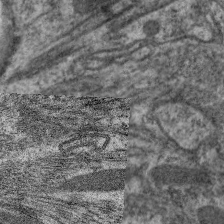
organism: C. elegans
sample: Pharynx